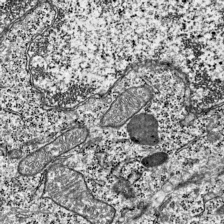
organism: Mouse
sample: Visual Cortex